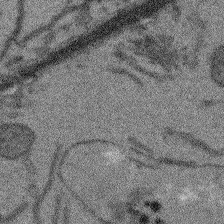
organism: Arabidopsis thaliana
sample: Root tip